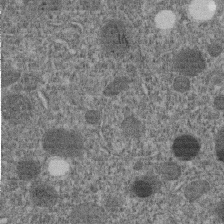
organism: C. elegans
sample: C. elegans embryo early stage